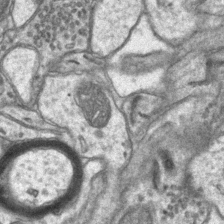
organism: Mouse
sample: CA1 Hippocampus